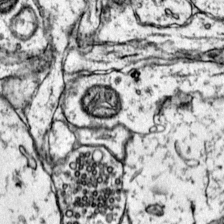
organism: Mouse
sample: Primary visual cortex